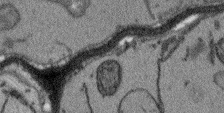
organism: Arabidopsis thaliana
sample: Root tip